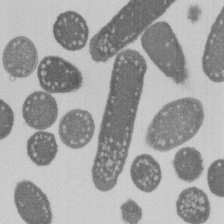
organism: E. coli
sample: Bacterial nucleoid